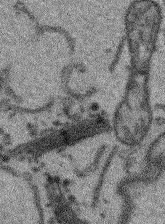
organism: Arabidopsis thaliana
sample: Root tip